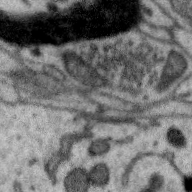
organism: Zebra finch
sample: Brain